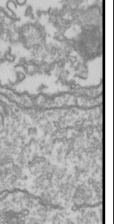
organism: Drosophila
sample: Cell division; meiosis; drosophila spermatocytes